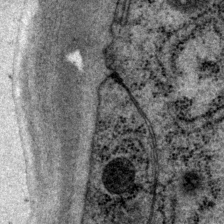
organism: P. pacificus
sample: Pharynx